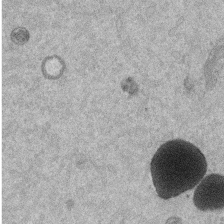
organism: Mouse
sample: Dividing mouse embryo 1 cell stage